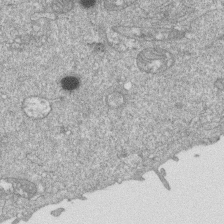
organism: Human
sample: HeLa cell HIV synapse